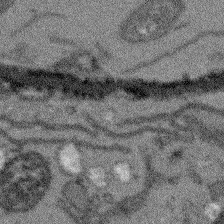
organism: Arabidopsis thaliana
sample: Root tip